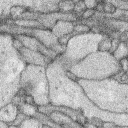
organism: Rabbit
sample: Retina